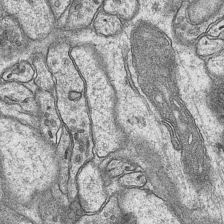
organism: Mouse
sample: CA1 Hippocampus